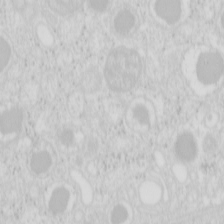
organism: Mouse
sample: Pancreas